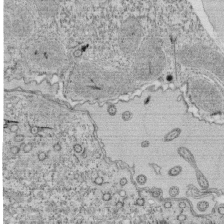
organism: Tetrahymena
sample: Cilia in tetrahymena